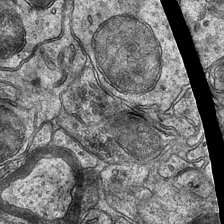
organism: Mouse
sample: CA1 Hippocampus